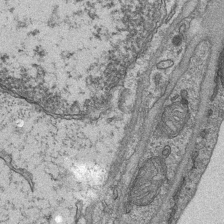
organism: Mouse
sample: CA1 Hippocampus